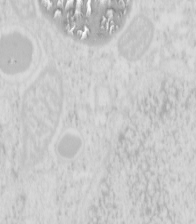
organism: Mouse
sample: Pancreas